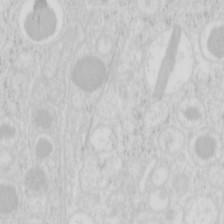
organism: Mouse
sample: Pancreas